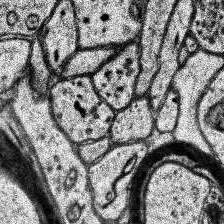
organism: Human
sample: Temporal Lobe